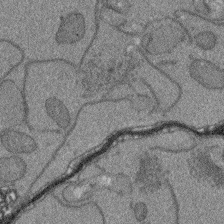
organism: Arabidopsis thaliana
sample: Root tip